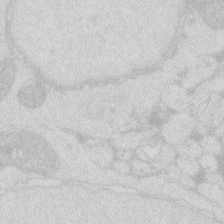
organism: Zebrafish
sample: Macrophage